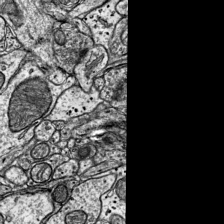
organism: Mouse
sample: Visual Cortex